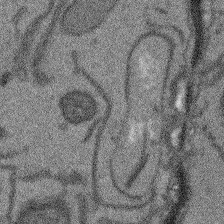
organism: Arabidopsis thaliana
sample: Root tip